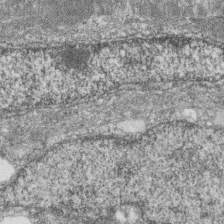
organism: Zebrafish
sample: Cilia; retinal pigment epithelium